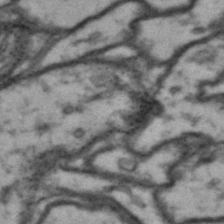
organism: Drosophila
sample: Brain